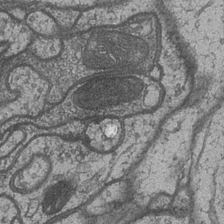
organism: Drosophila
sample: Optic medulla